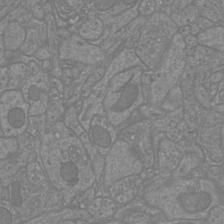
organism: Mouse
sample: Cortical neurons